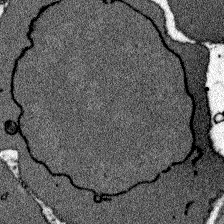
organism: Zebrafish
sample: Larval olfactory bulb